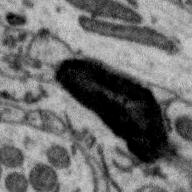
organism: Zebra finch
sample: Brain